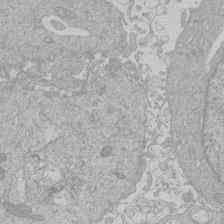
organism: Human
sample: Macrophage cells